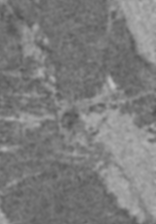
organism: C57BL Mouse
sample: Heart